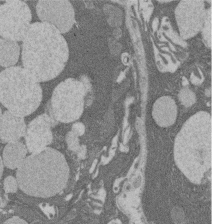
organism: Rat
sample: Salivary granule